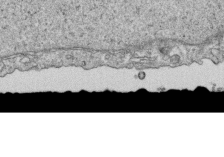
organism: Human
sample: HeLa cell HIV synapse